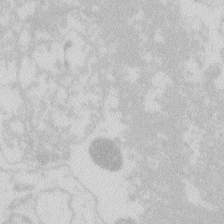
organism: Zebrafish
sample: Macrophage